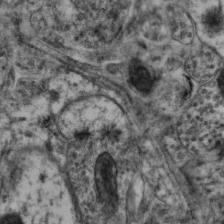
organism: Mouse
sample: Neocortex